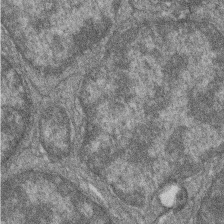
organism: Zebrafish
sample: Cilia; retinal pigment epithelium